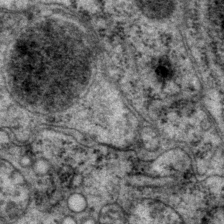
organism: P. pacificus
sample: Pharynx